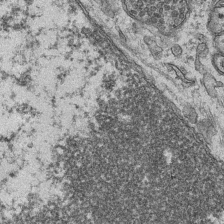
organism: Mouse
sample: CA1 Hippocampus